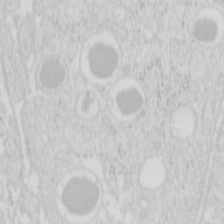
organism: Mouse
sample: Pancreas